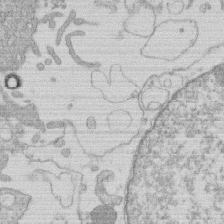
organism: Human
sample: Macrophage cells